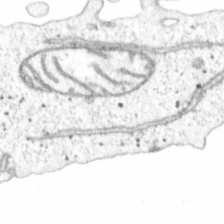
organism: Human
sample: HeLa cells